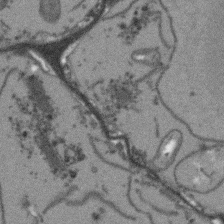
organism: Arabidopsis thaliana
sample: Root tip